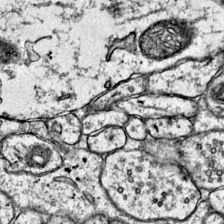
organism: Mouse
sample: Primary visual cortex